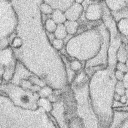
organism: Rabbit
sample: Retina